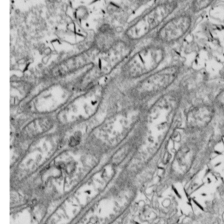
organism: Drosophila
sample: Cell division; meiosis; drosophila spermatocytes